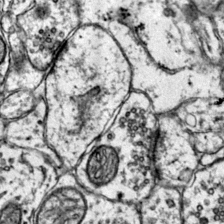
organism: Mouse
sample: Primary visual cortex